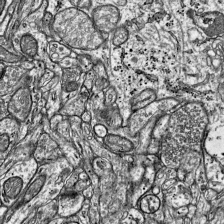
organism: Mouse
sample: Visual Cortex